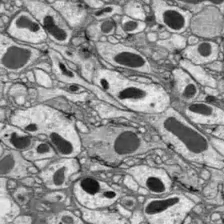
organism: Drosophila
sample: Optic lobe